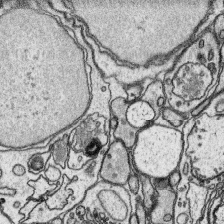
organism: Platynereis dumerilii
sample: Parapodia